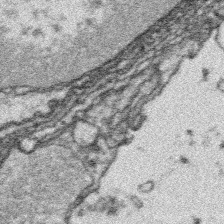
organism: Platynereis dumerilii